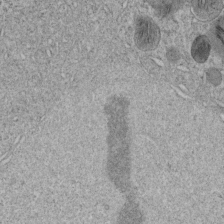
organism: C. elegans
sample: C. elegans embryo early stage